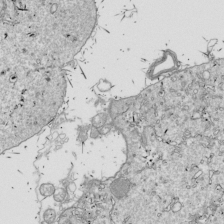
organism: Drosophila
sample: Cell division; meiosis; drosophila spermatocytes